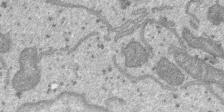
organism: Human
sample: Lung epithelial cells infected with SARS-CoV-2